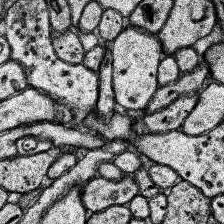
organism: Human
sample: Temporal Lobe